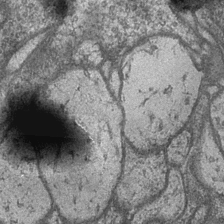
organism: Drosophila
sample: Optic medulla